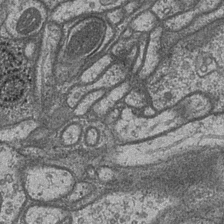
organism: Drosophila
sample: Optic medulla